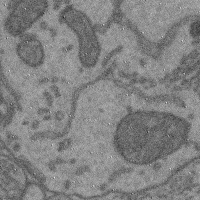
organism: Mouse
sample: Cerebral cortex